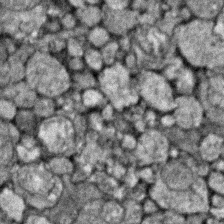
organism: Zebrafish